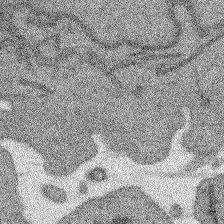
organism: Human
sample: HeLa cells